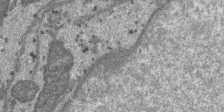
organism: Human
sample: Lung epithelial cells infected with SARS-CoV-2